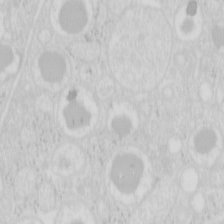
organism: Mouse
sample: Pancreas